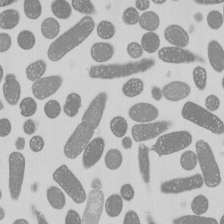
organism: E. coli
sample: Bacterial nucleoid